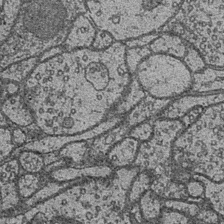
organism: Drosophila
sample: Optic medulla